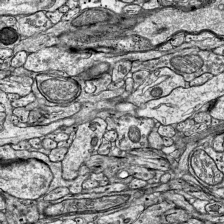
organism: Mouse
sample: Visual Cortex